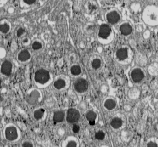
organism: C57BL Mouse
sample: Pancreatic islet